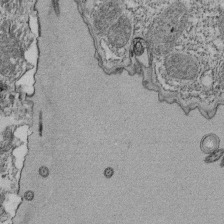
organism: Tetrahymena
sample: Cilia in tetrahymena